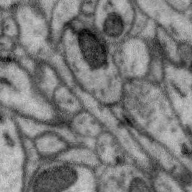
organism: Zebra finch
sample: Brain